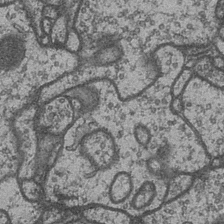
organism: Drosophila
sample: Optic medulla